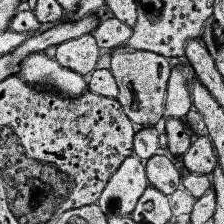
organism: Human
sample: Temporal Lobe